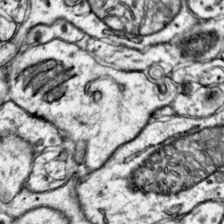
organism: Mouse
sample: Primary visual cortex